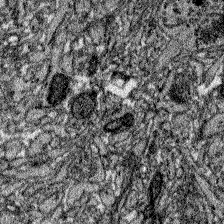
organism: Zebrafish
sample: Larval olfactory bulb